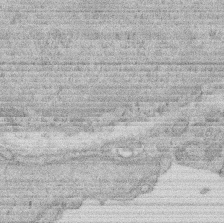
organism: Rat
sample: Salivary granule